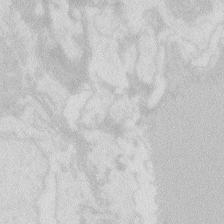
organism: Zebrafish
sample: Macrophage